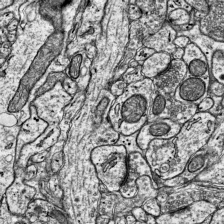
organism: Mouse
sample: Visual Cortex